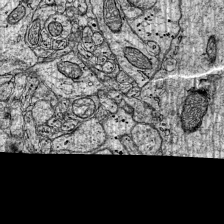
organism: Mouse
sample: Visual Cortex